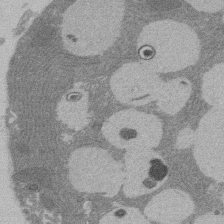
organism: Rat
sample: Salivary granule